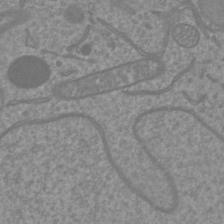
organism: Mouse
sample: Cortical neurons